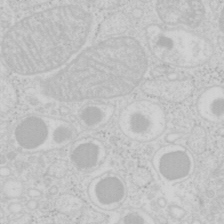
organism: Mouse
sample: Pancreas